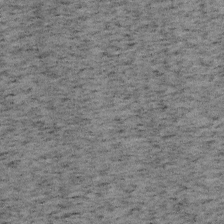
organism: Mouse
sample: OT-I killer T cells with ID8 ovarian cancer cells